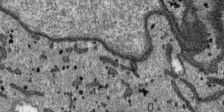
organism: Human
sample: Lung epithelial cells, uninfected (mock) control